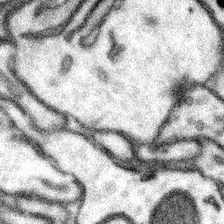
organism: Mouse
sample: Somatosensory cortex neuropil